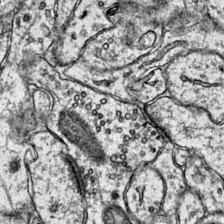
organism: Mouse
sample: Primary visual cortex